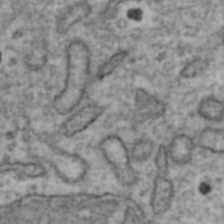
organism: Human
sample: Blood